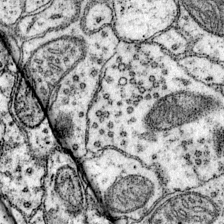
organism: Mouse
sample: Primary visual cortex